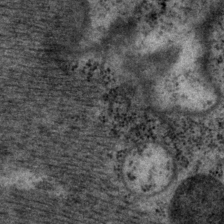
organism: P. pacificus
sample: Pharynx